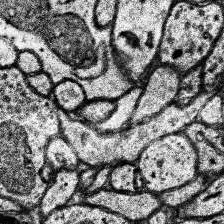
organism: Human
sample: Temporal Lobe